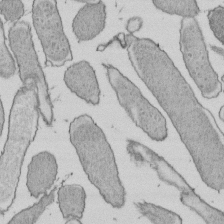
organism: E. coli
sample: Bacterial nucleoid